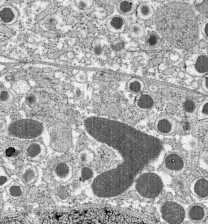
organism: C57BL Mouse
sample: Pancreatic islet